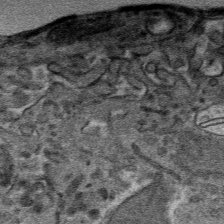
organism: Mouse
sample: Mouse hepatocytes